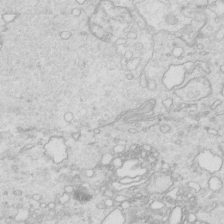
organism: Mouse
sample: Multiciliated cells